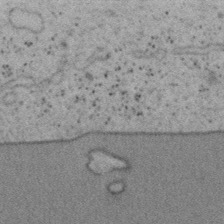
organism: Human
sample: HeLa cells